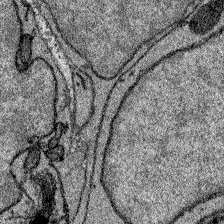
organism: Zebrafish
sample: Larval olfactory bulb